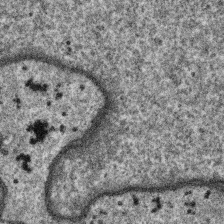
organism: Human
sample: Lung epithelial cells infected with SARS-CoV-2